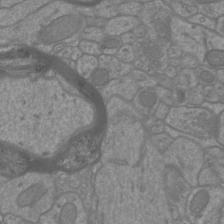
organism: Mouse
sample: Cortical neurons